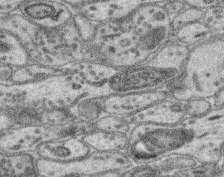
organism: Mouse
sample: Retina